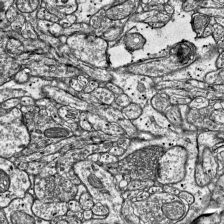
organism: Mouse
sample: Visual Cortex